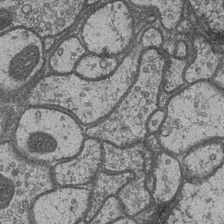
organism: Drosophila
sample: Optic medulla